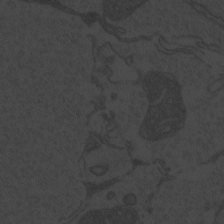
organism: Zebrafish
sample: Macrophage infected with Toxoplasma gondii